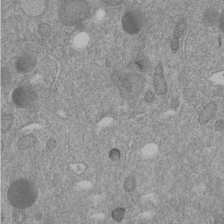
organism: C. elegans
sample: C. elegans embryo early stage